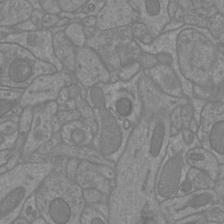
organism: Mouse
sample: Cortical neurons